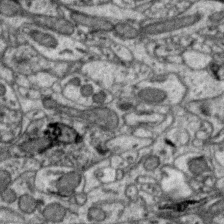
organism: Zebra finch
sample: Brain